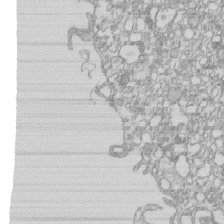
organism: Mouse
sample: Macrophages